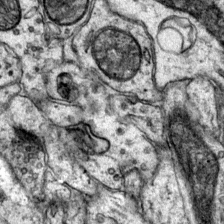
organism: Mouse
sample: Primary visual cortex